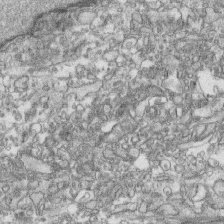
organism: Human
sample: CRL-1474